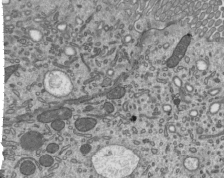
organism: Mouse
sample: Mouse epididymis efferent ductule cilia